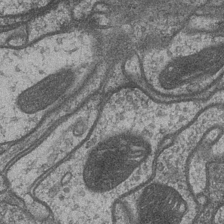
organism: Drosophila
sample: Optic medulla